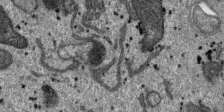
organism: Human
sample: Lung epithelial cells, uninfected (mock) control